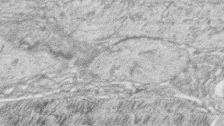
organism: Zebrafish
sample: synaptic ribbons in rod cells and cone cells